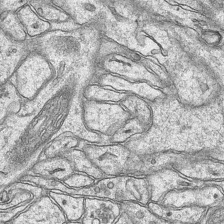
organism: Mouse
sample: CA1 Hippocampus